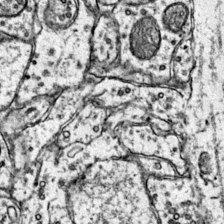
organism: Mouse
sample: Primary visual cortex